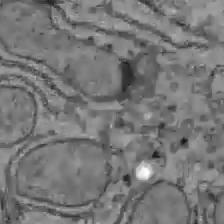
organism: C57BL Mouse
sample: Liver